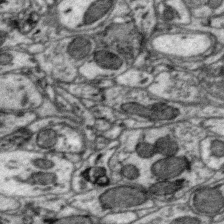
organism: Zebra finch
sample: Brain